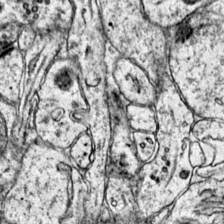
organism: Mouse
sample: Primary visual cortex